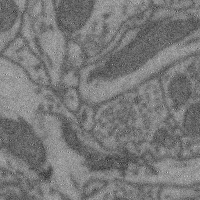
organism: Mouse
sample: Cerebral cortex